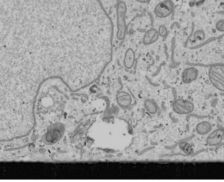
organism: Human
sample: Mitochondria in U2OS cells